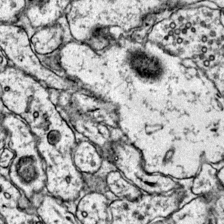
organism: Mouse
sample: Primary visual cortex